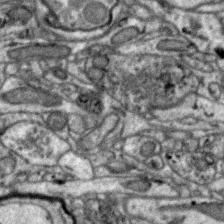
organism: Zebra finch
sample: Brain